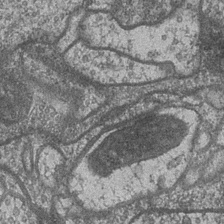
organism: Drosophila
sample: Optic medulla